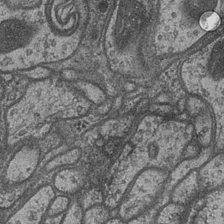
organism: Drosophila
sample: Optic medulla